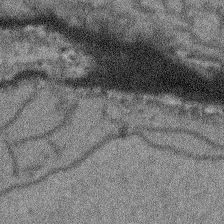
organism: Arabidopsis thaliana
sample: Root tip